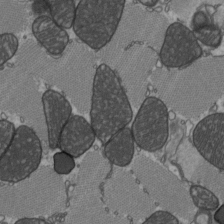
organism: C57BL Mouse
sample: Heart